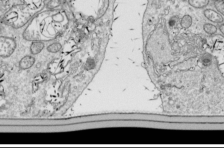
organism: Drosophila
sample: Cell division; meiosis; drosophila spermatocytes